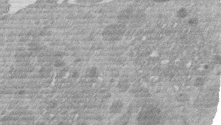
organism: Mouse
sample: Dividing mouse embryo 1 cell stage